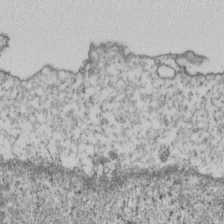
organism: Human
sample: Activated Jurkat CD4+ T cells